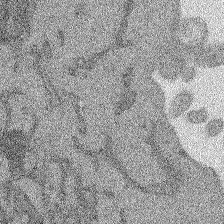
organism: Human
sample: HeLa cells